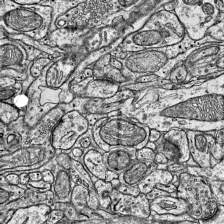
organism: Mouse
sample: Visual Cortex